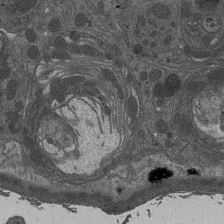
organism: Drosophila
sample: Antenna